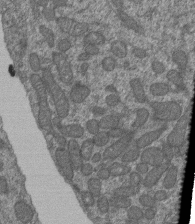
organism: Human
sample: Retinal organoid Rod and Cone cells